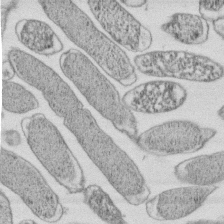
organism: E. coli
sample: Bacterial nucleoid